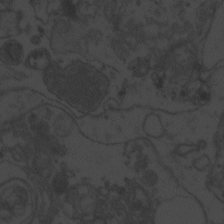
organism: Zebrafish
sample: Macrophage infected with Toxoplasma gondii